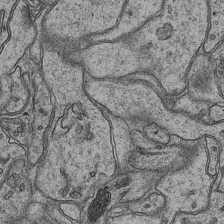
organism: Mouse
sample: CA1 Hippocampus